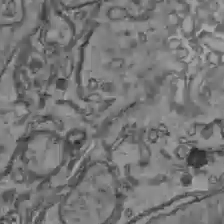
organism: C57BL Mouse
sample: Liver